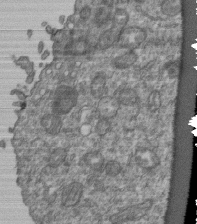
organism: Human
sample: Retinal organoid Rod and Cone cells